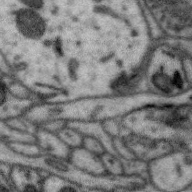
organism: Zebra finch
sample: Brain